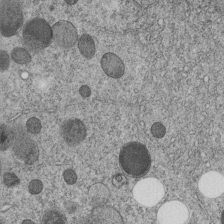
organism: C. elegans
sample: C. elegans embryo early stage